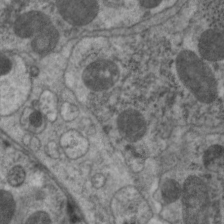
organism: C. elegans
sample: Pharynx